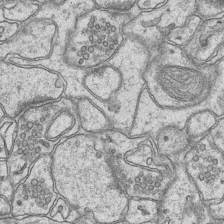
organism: Mouse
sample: CA1 Hippocampus